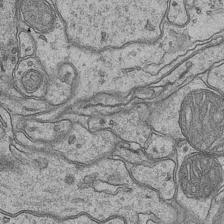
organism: Mouse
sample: CA1 Hippocampus